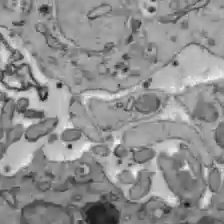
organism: C57BL Mouse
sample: Liver